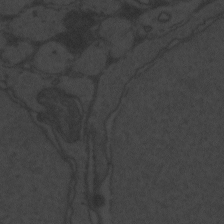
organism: Zebrafish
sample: Macrophage infected with Toxoplasma gondii